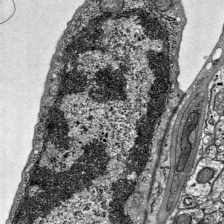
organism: Mouse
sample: Visual Cortex